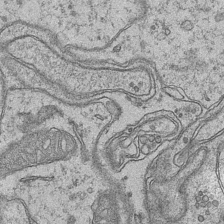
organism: Mouse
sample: CA1 Hippocampus